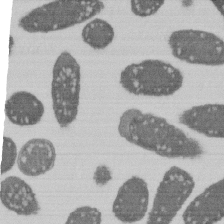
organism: E. coli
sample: Bacterial nucleoid